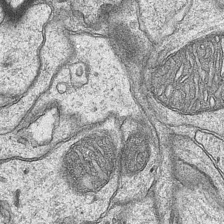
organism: Mouse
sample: CA1 Hippocampus